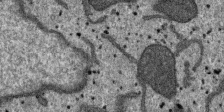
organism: Human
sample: Lung epithelial cells, uninfected (mock) control